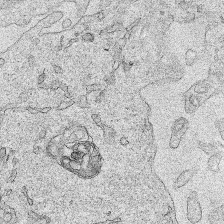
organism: Human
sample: Mitochondria in HCT116 cells